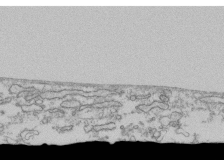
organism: Human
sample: Fibroblast cells